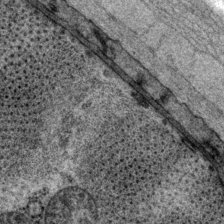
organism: P. pacificus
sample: Pharynx